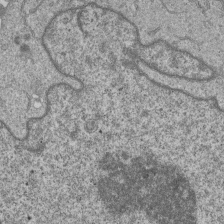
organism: Human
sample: MDA-MB-231 cells